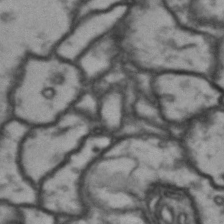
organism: Drosophila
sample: Brain